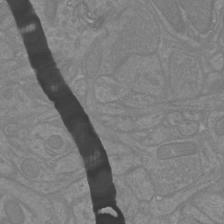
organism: Mouse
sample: Cortical neurons